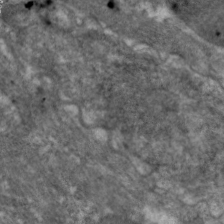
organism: C. elegans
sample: Pharynx